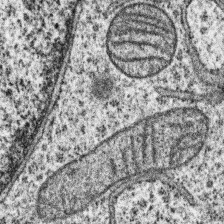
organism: Human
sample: HeLa cells